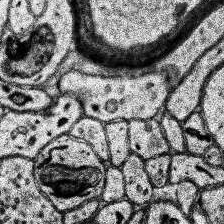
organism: Human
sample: Temporal Lobe